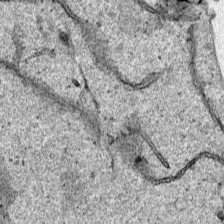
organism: Human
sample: Mitochondria in HCT116 cells